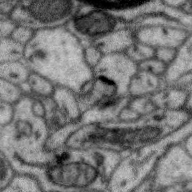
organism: Zebra finch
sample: Brain